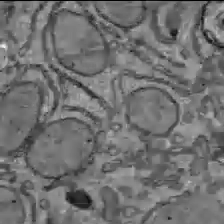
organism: C57BL Mouse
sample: Liver